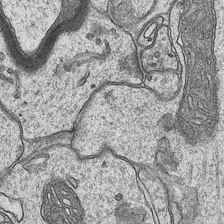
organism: Mouse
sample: CA1 Hippocampus